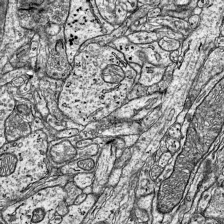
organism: Mouse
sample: Visual Cortex